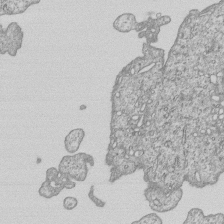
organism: Human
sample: MDA-MB-231 cells